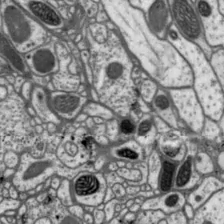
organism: Drosophila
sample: Protocerebral bridge